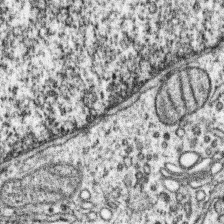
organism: Human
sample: HeLa cells